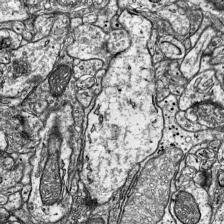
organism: Mouse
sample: Visual Cortex